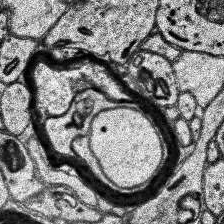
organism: Human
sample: Temporal Lobe